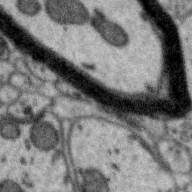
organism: Zebra finch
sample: Brain